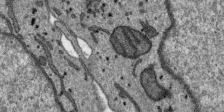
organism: Human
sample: Lung epithelial cells, uninfected (mock) control